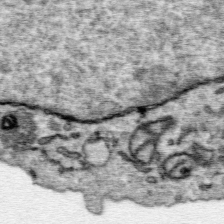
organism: Human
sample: HeLa cells